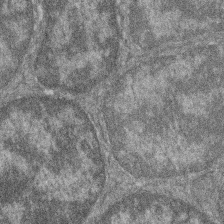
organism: Zebrafish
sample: Cilia; retinal pigment epithelium